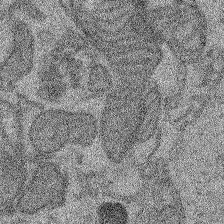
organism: Human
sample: HeLa cells